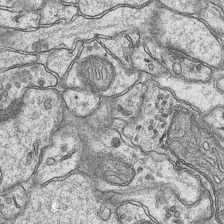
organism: Mouse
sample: CA1 Hippocampus